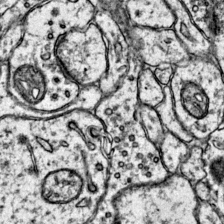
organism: Mouse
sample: Primary visual cortex